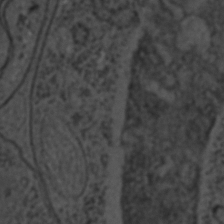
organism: C. elegans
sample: C. elegans embryo